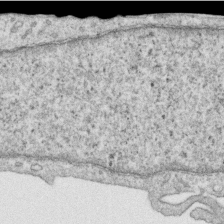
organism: Human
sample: Centriole in RPE cells